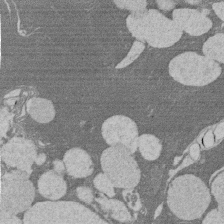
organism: Rat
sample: Salivary granule